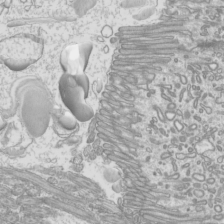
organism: Mouse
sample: Cilia; mouse epididymis